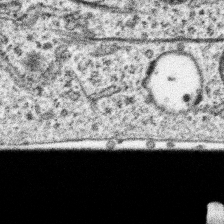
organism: Human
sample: HeLa cells